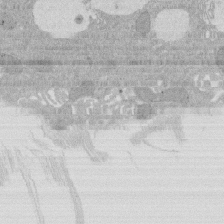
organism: Rat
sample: Salivary granule